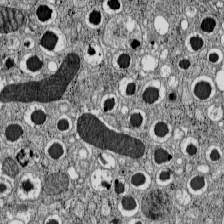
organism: C57BL Mouse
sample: Pancreatic islet